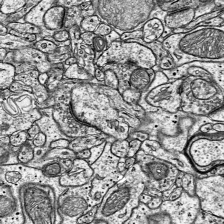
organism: Mouse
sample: Visual Cortex